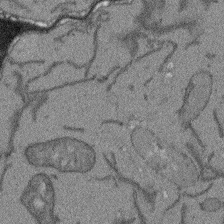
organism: Arabidopsis thaliana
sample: Root tip